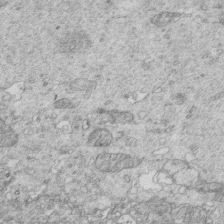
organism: Mouse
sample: Multiciliated cells